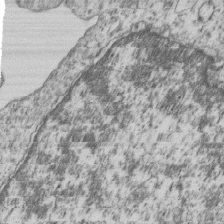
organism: Human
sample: MDA-MB-231 cells